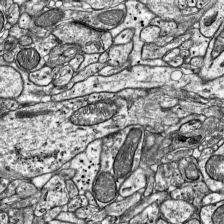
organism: Mouse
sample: Visual Cortex